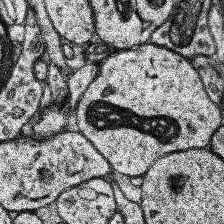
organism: Human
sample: Temporal Lobe